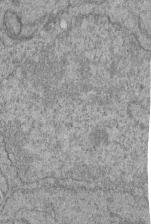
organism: Human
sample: Retinal organoid Rod and Cone cells